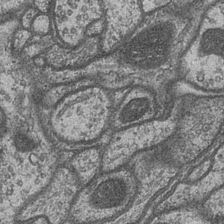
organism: Drosophila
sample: Optic medulla